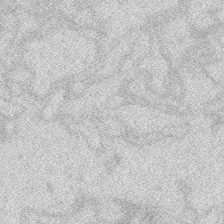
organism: Zebrafish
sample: Macrophage